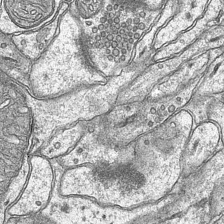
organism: Mouse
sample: CA1 Hippocampus